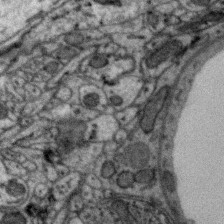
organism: Zebra finch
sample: Brain